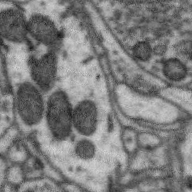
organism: Zebra finch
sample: Brain